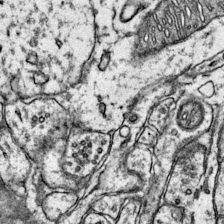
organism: Mouse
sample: Primary visual cortex